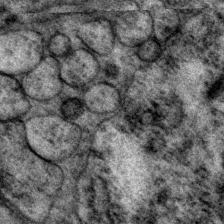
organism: P. pacificus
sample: Pharynx